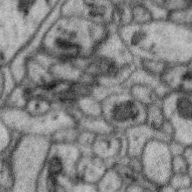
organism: Zebra finch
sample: Brain